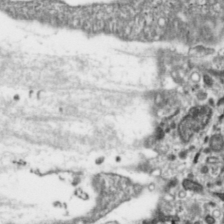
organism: Toxoplasma gondii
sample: Parasites in a vacuole inside a host cell